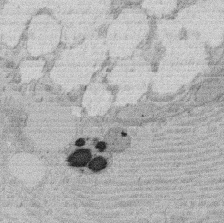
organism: Rat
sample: Salivary granule